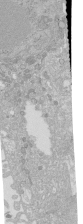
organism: Human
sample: Caco-2 cells